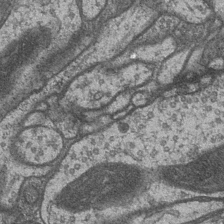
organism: Drosophila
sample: Optic medulla